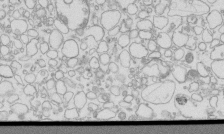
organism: Mouse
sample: Macrophages